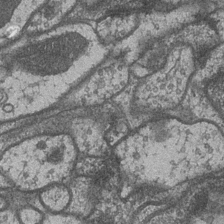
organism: Drosophila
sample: Optic medulla